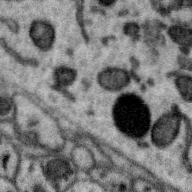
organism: Zebra finch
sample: Brain